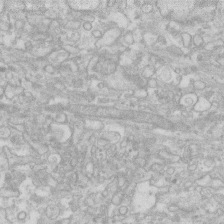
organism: Human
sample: Fibroblast cells